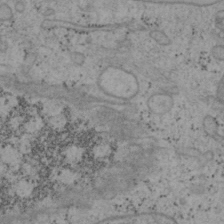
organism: Human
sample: HeLa cells